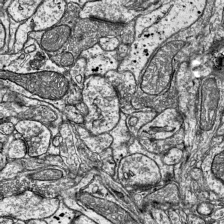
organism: Mouse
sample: Visual Cortex